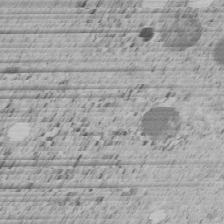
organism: C. elegans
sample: C. elegans embryo early stage